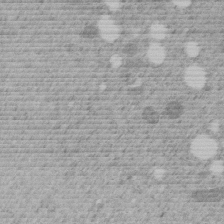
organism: C. elegans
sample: C. elegans embryo early stage